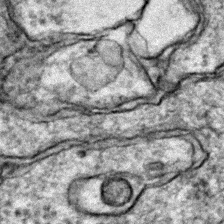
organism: Zebrafish